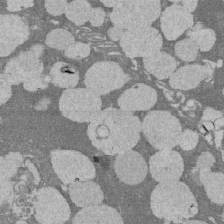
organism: Rat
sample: Salivary granule